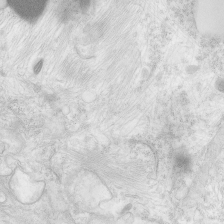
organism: Human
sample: Neocortex